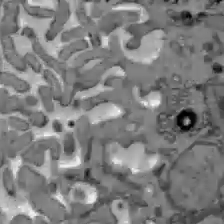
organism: C57BL Mouse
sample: Liver